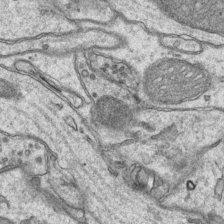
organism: Mouse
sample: CA1 Hippocampus